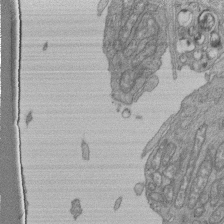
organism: Human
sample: Retinal organoid Rod and Cone cells